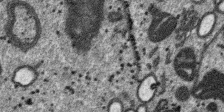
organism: Human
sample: Lung epithelial cells infected with SARS-CoV-2